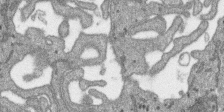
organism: Human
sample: Lung epithelial cells infected with SARS-CoV-2